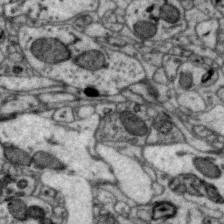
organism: Zebra finch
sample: Brain